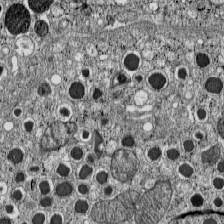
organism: C57BL Mouse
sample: Pancreatic islet